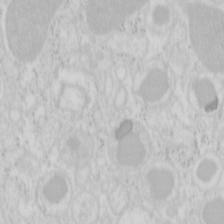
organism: Mouse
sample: Pancreas